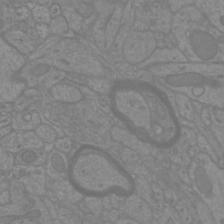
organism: Mouse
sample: Cortical neurons